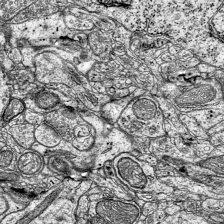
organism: Mouse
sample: Visual Cortex